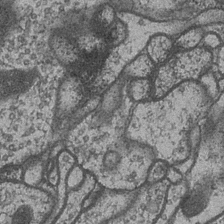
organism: Drosophila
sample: Optic medulla